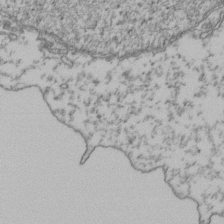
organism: Human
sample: Activated Jurkat CD4+ T cells